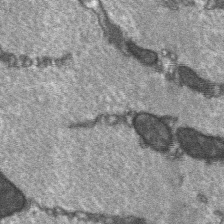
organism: C57BL Mouse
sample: Soleus